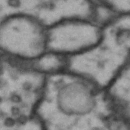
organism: Drosophila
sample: Brain